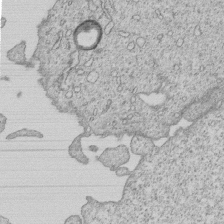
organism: Human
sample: MDA-MB-231 cells